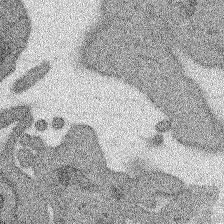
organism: Human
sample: HeLa cells